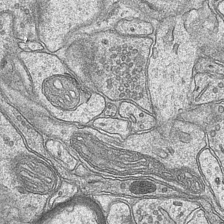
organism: Mouse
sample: CA1 Hippocampus